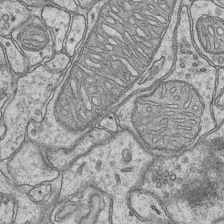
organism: Mouse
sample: CA1 Hippocampus